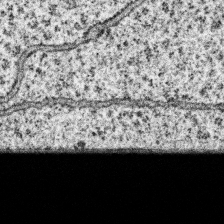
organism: Human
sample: HeLa cells